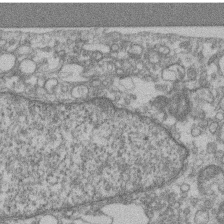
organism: Mouse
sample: T cell stromal cell synapse